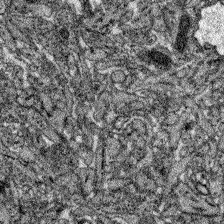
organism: Zebrafish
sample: Larval olfactory bulb